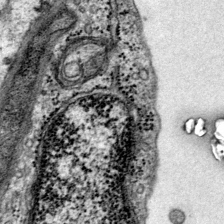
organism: Mouse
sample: Primary visual cortex